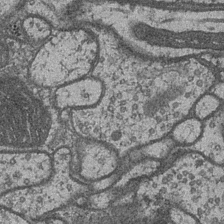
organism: Drosophila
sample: Optic medulla